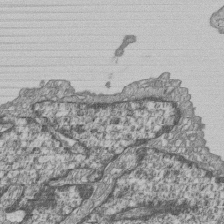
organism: Human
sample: MDA-MB-231 cells